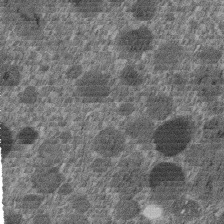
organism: C. elegans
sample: C. elegans embryo early stage